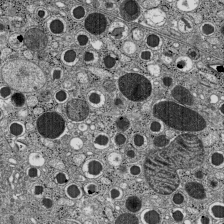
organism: C57BL Mouse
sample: Pancreatic islet